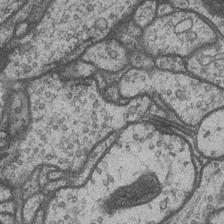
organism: Drosophila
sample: Optic medulla